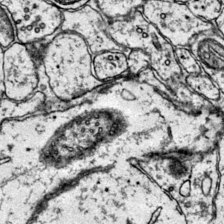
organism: Mouse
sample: Primary visual cortex